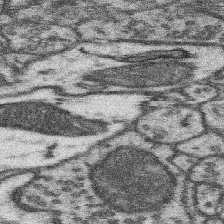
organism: Mouse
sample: Somatosensory cortex neuropil